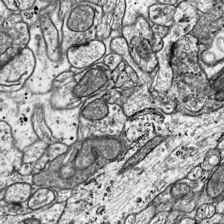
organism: Mouse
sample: Visual Cortex